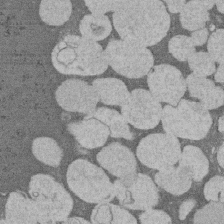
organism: Rat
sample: Salivary granule